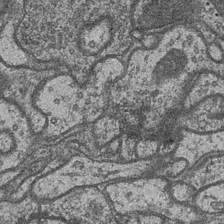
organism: Drosophila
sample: Optic medulla